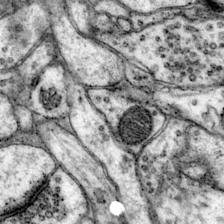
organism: Mouse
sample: Primary visual cortex